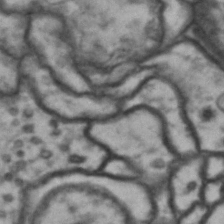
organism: Drosophila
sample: Brain